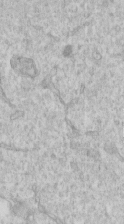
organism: Human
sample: Centriole in RPE cells